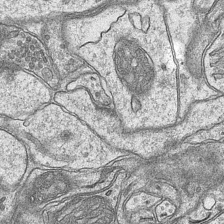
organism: Mouse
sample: CA1 Hippocampus